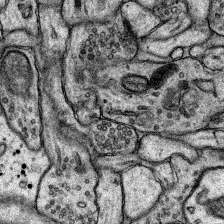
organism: Rat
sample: Hippocampus